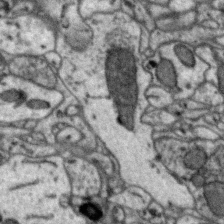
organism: Zebra finch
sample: Brain